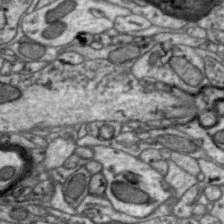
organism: Zebra finch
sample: Brain